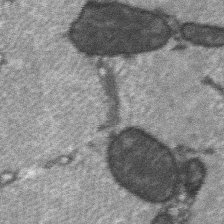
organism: C57BL Mouse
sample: Soleus